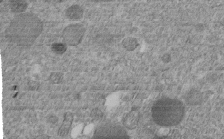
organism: C. elegans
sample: C. elegans embryo early stage